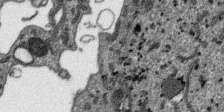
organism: Human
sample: Lung epithelial cells infected with SARS-CoV-2